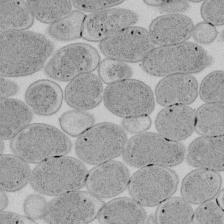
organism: E. coli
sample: Bacterial nucleoid